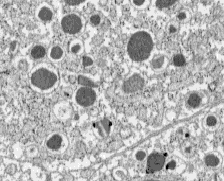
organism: C57BL Mouse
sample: Pancreatic islet